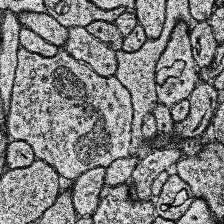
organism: Human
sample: Temporal Lobe